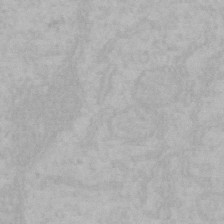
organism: Mouse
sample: Choroid plexus